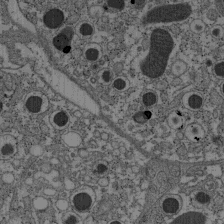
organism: C57BL Mouse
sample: Pancreatic islet